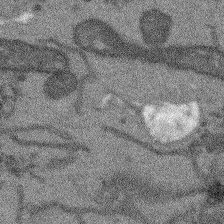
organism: Arabidopsis thaliana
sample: Root tip